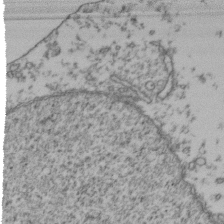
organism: Human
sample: Activated Jurkat CD4+ T cells